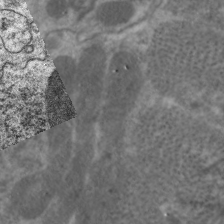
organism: C. elegans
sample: Pharynx